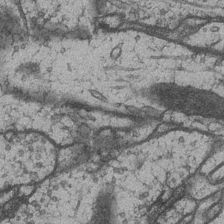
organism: Drosophila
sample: Optic medulla